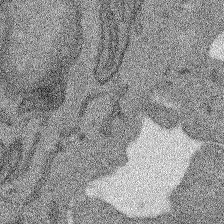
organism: Human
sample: HeLa cells